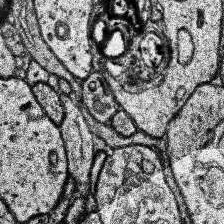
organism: Human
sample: Temporal Lobe